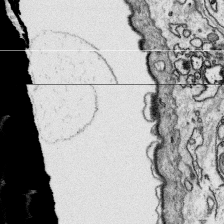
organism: Platynereis dumerilii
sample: Parapodia